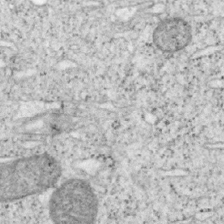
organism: Mouse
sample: OT-I killer T cells with ID8 ovarian cancer cells